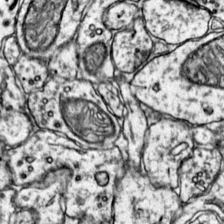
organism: Mouse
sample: Primary visual cortex